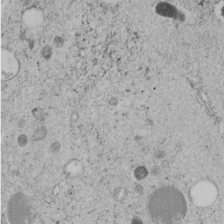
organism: C. elegans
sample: C. elegans embryo early stage